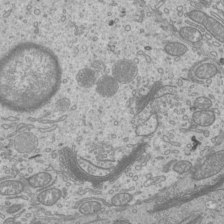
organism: Mouse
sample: Cilia; mouse epididymis